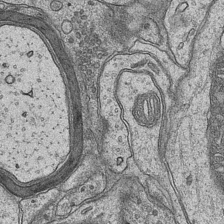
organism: Mouse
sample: CA1 Hippocampus